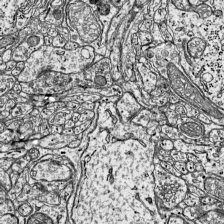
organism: Mouse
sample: Visual Cortex